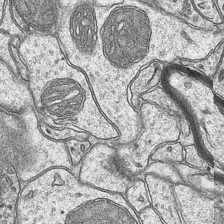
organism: Mouse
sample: CA1 Hippocampus